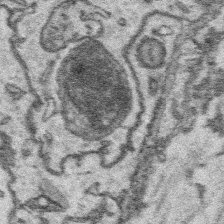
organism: Platynereis dumerilii